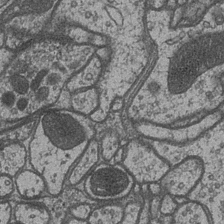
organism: Drosophila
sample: Optic medulla